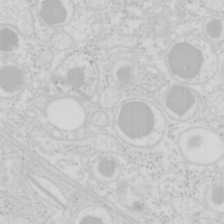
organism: Mouse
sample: Pancreas